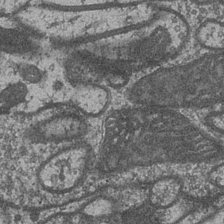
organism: Drosophila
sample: Optic medulla